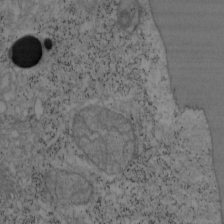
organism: Mouse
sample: OT-I killer T cells with ID8 ovarian cancer cells